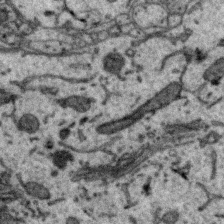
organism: Zebra finch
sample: Brain